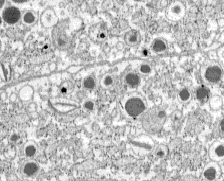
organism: C57BL Mouse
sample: Pancreatic islet